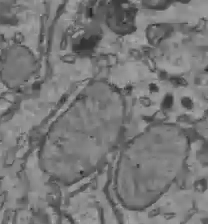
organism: C57BL Mouse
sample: Liver